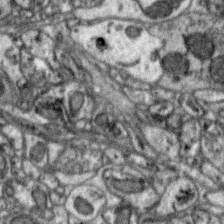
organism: Zebra finch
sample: Brain